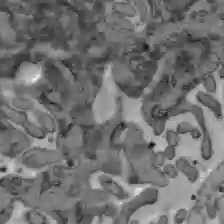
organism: C57BL Mouse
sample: Liver